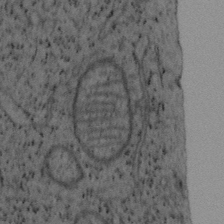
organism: Human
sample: HeLa cells